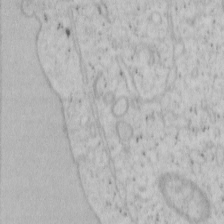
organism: Human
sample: HeLa cells